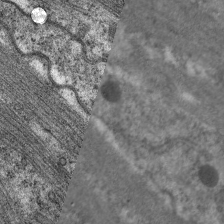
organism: C. elegans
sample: Pharynx